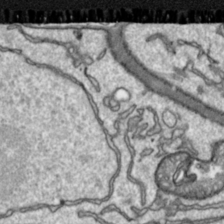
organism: Toxoplasma gondii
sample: Parasites in a vacuole inside a host cell